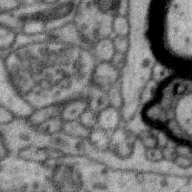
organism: Zebra finch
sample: Brain